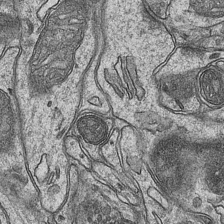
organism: Mouse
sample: CA1 Hippocampus